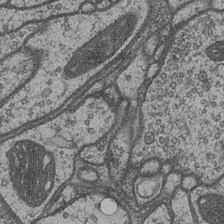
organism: Drosophila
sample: Optic medulla